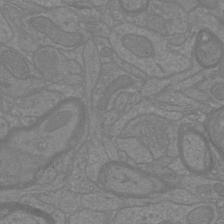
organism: Mouse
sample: Cortical neurons